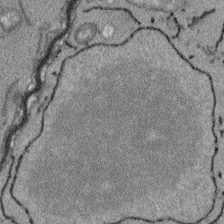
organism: Arabidopsis thaliana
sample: Root tip